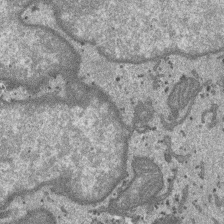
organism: Human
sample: Lung epithelial cells infected with SARS-CoV-2